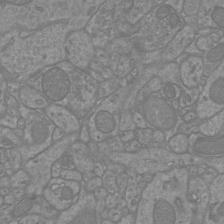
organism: Mouse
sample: Cortical neurons